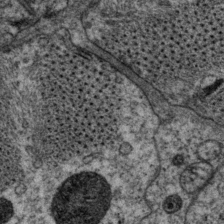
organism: P. pacificus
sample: Pharynx